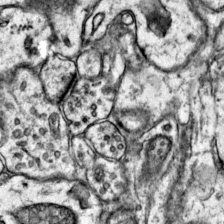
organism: Mouse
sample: Primary visual cortex